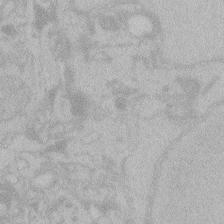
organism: Zebrafish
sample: Macrophage infected with Toxoplasma gondii